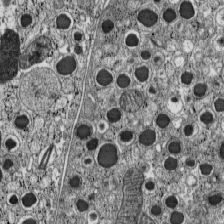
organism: C57BL Mouse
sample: Pancreatic islet